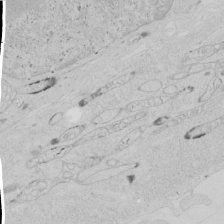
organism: Human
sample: Mitochondria in HCT116 cells